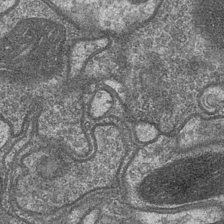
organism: Drosophila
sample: Optic medulla